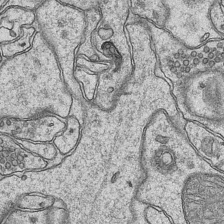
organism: Mouse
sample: CA1 Hippocampus